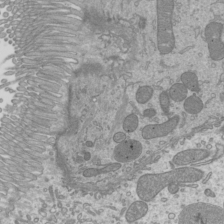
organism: Mouse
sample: Cilia; mouse epididymis